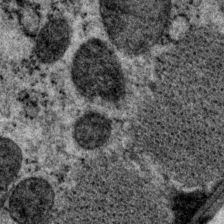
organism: P. pacificus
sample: Pharynx